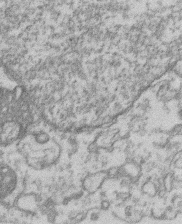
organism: Mouse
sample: T cell stromal cell synapse